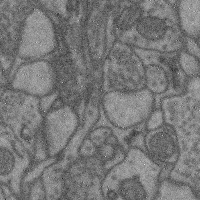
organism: Mouse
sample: Cerebral cortex